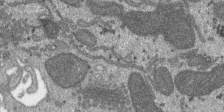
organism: Human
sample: Lung epithelial cells infected with SARS-CoV-2